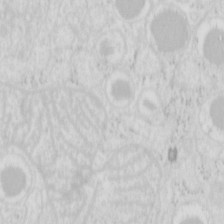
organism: Mouse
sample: Pancreas